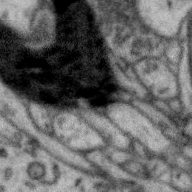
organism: Zebra finch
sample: Brain